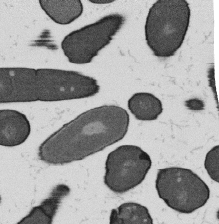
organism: B. subtilis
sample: Bacterial spore